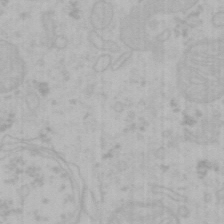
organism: Mouse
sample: Choroid plexus